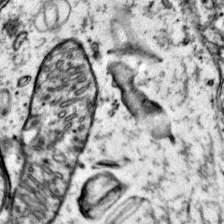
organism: Mouse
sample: Primary visual cortex